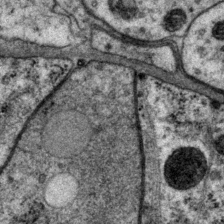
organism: P. pacificus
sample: Pharynx